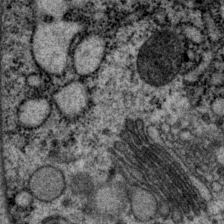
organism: P. pacificus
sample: Pharynx